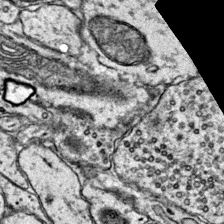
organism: Mouse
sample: Primary visual cortex